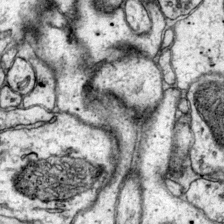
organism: Mouse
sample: Primary visual cortex